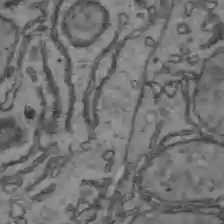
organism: C57BL Mouse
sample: Liver